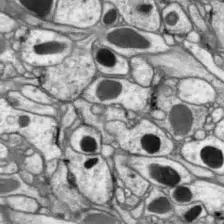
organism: Drosophila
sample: Optic lobe